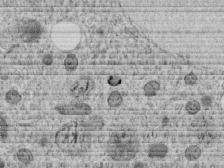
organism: C. elegans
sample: C. elegans embryo early stage